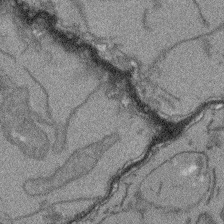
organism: Arabidopsis thaliana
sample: Root tip